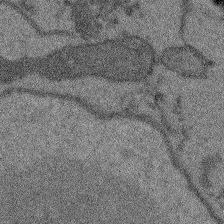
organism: Arabidopsis thaliana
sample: Root tip